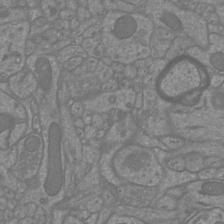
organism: Mouse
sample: Cortical neurons